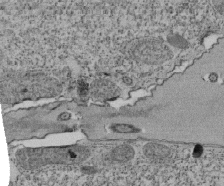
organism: Tetrahymena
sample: Cilia in tetrahymena